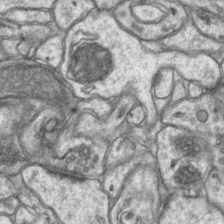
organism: Mouse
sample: CA1 Hippocampus